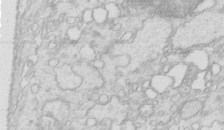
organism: Mouse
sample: Multiciliated cells